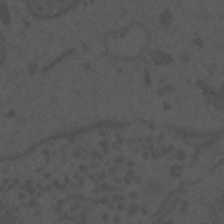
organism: Mouse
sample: Suprachiasmatic nucleus